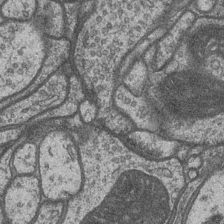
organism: Drosophila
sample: Optic medulla